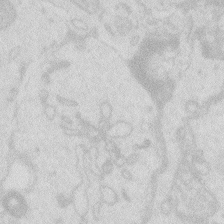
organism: Zebrafish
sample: Macrophage